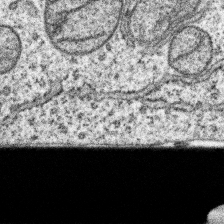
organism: Human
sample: HeLa cells